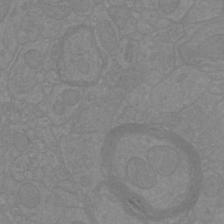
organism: Mouse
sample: Cortical neurons